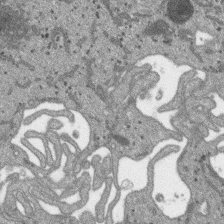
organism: Human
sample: Lung epithelial cells infected with SARS-CoV-2